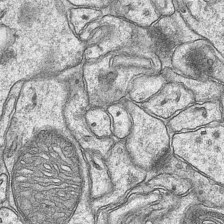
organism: Mouse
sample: CA1 Hippocampus